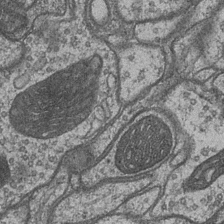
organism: Drosophila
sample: Optic medulla